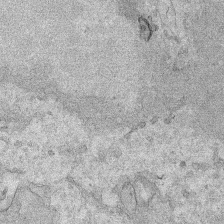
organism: Human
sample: Mitochondria in HCT116 cells